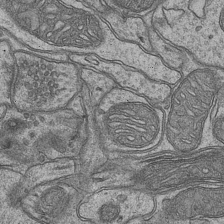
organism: Mouse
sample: CA1 Hippocampus